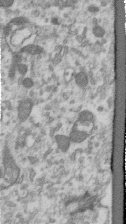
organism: Human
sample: Centriole in RPE cells